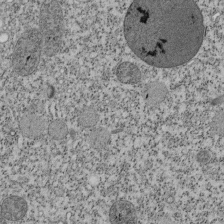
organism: Tetrahymena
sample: Cilia in tetrahymena